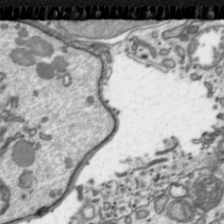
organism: Toxoplasma gondii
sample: Parasites in a vacuole inside a host cell